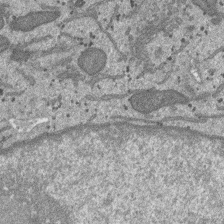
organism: Human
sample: Lung epithelial cells infected with SARS-CoV-2